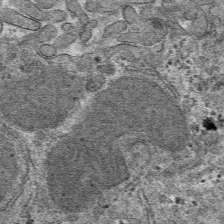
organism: Mouse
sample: Mouse hepatocytes